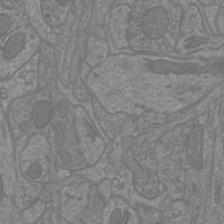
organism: Mouse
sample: Cortical neurons